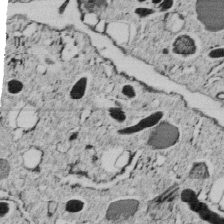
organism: C. elegans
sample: C. elegans embryo early stage